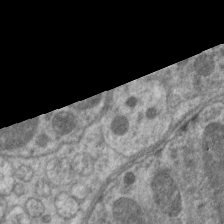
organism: C. elegans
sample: Pharynx